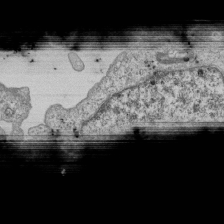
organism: Human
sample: MDA-MB-231 cells